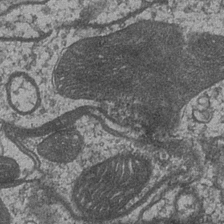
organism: Drosophila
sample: Optic medulla